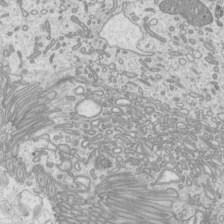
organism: Mouse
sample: Cilia; mouse epididymis